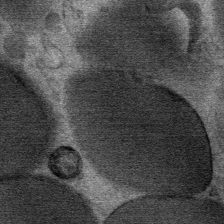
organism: Mouse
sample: Mouse Salivary gland